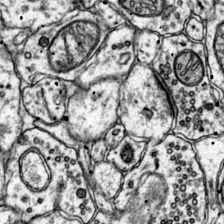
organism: Mouse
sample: Primary visual cortex